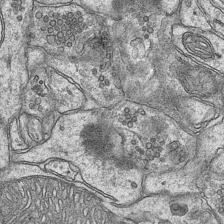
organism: Mouse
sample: CA1 Hippocampus